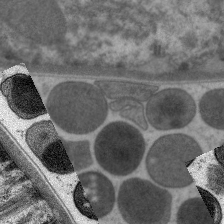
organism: C. elegans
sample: Pharynx